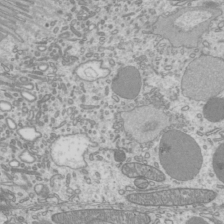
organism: Mouse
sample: Cilia; mouse epididymis